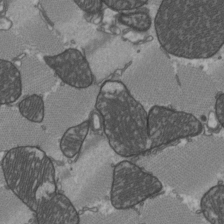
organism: C57BL Mouse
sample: Heart